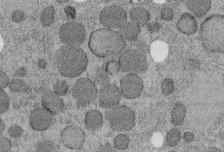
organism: C. elegans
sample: C. elegans embryo early stage